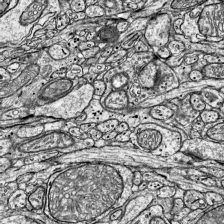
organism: Mouse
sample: Visual Cortex